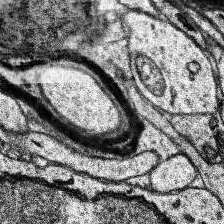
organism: Human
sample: Temporal Lobe